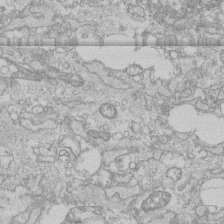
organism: Human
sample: CRL-1474